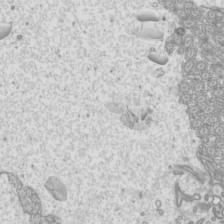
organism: Mouse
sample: Cilia; mouse epididymis